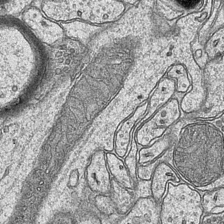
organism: Mouse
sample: CA1 Hippocampus